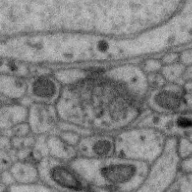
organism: Zebra finch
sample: Brain